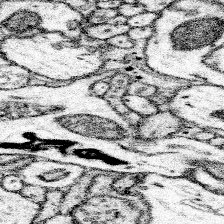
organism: Mouse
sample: Somatosensory cortex neuropil